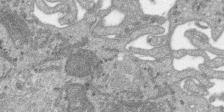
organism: Human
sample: Lung epithelial cells infected with SARS-CoV-2